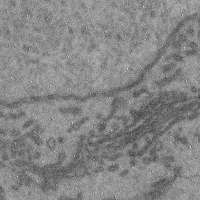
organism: Mouse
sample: Cerebral cortex